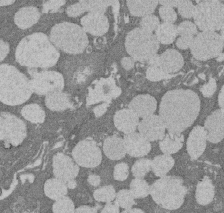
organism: Rat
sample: Salivary granule